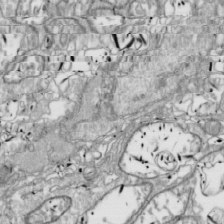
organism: Drosophila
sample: Cell division; meiosis; drosophila spermatocytes